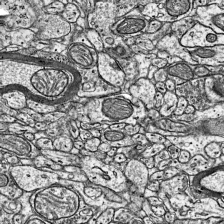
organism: Mouse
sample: Visual Cortex